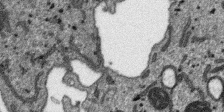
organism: Human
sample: Lung epithelial cells infected with SARS-CoV-2